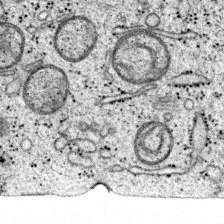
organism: Human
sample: HeLa cells